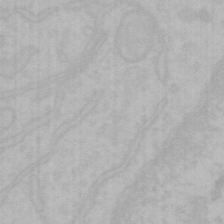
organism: Mouse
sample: Choroid plexus